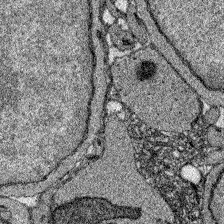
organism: Zebrafish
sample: Larval olfactory bulb